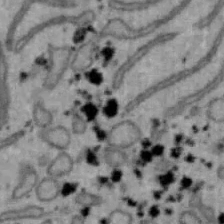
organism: Mouse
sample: Liver